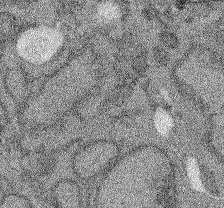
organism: Human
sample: HeLa cells